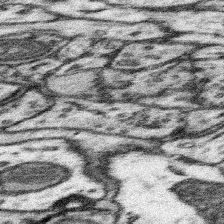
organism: Mouse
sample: Somatosensory cortex neuropil